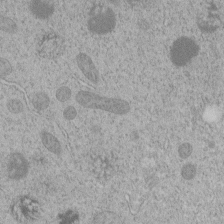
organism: C. elegans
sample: C. elegans embryo early stage